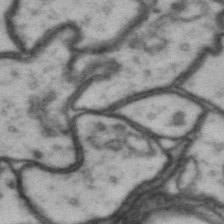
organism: Drosophila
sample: Brain